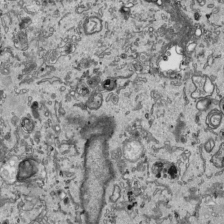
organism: Human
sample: Mitochondria in HCT116 cells